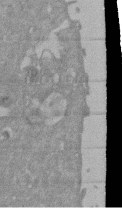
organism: Mouse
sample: ED-1 cell nuclei; centrioles